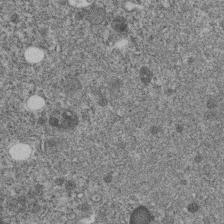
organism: C. elegans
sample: C. elegans embryo early stage